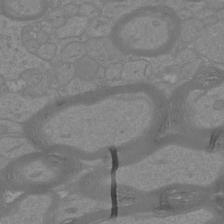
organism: Mouse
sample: Cortical neurons